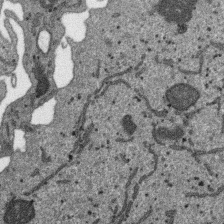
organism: Human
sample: Lung epithelial cells infected with SARS-CoV-2